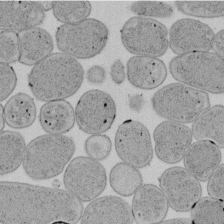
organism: E. coli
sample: Bacterial nucleoid